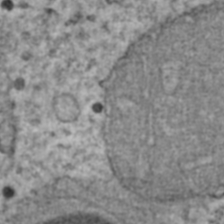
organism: Human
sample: Blood